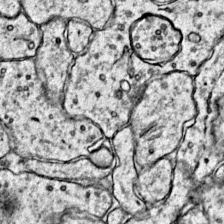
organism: Mouse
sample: Primary visual cortex